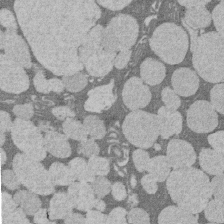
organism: Rat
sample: Salivary granule